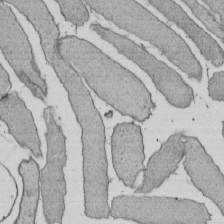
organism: E. coli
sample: Bacterial nucleoid